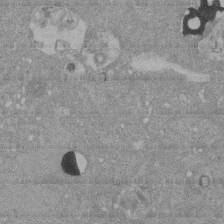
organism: Mouse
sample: ED-1 cell nuclei; centrioles